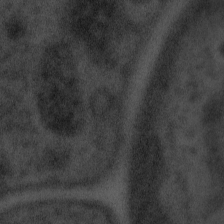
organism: Tuwongella immobilis